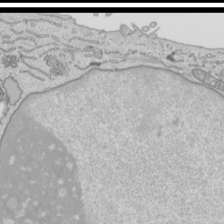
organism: Human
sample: Mitochondria in HCT116 cells